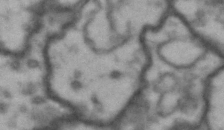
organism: Drosophila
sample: Brain